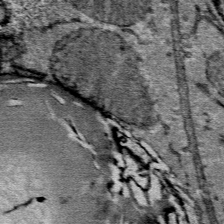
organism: Mouse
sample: Mouse Salivary gland